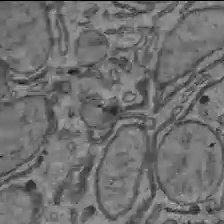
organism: C57BL Mouse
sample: Liver